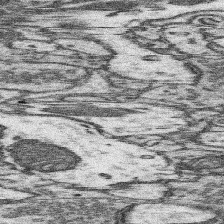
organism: Mouse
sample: Somatosensory cortex neuropil